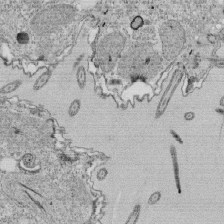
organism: Tetrahymena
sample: Cilia in tetrahymena